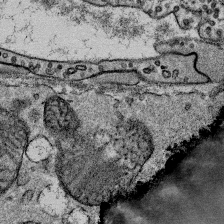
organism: Mouse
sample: Mouse Salivary gland